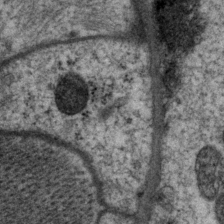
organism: P. pacificus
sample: Pharynx